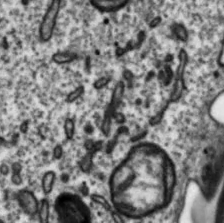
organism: Human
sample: HeLa cells